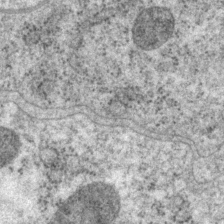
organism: P. pacificus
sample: Pharynx